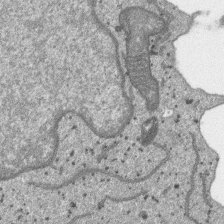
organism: Human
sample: Lung epithelial cells infected with SARS-CoV-2